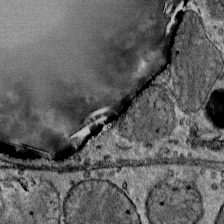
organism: Mouse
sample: Mouse Salivary gland